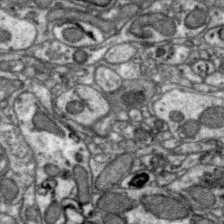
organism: Zebra finch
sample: Brain